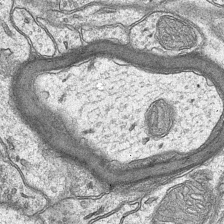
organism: Mouse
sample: CA1 Hippocampus